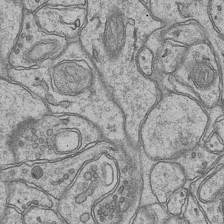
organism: Mouse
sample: CA1 Hippocampus